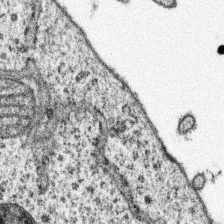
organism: Human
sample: HeLa cells